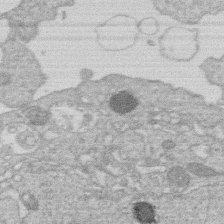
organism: Human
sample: Macrophage cells